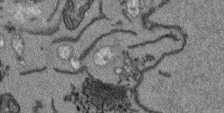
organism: Arabidopsis thaliana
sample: Root tip